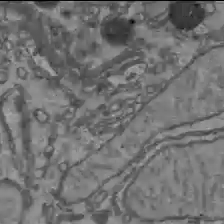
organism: C57BL Mouse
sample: Liver